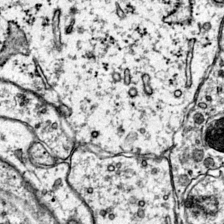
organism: Mouse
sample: Primary visual cortex